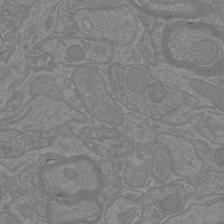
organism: Mouse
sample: Cortical neurons